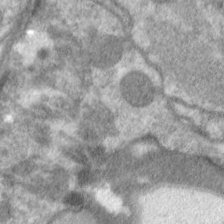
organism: C. elegans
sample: Pharynx